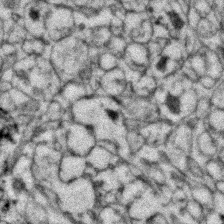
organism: Zebrafish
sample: Zebrafish embryo